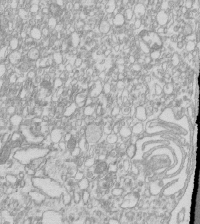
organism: Mouse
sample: Macrophages